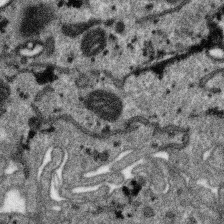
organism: Human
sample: Lung epithelial cells infected with SARS-CoV-2